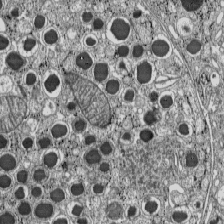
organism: C57BL Mouse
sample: Pancreatic islet